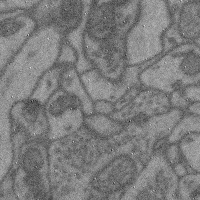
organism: Mouse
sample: Cerebral cortex